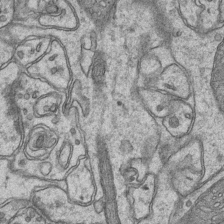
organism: Mouse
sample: CA1 Hippocampus